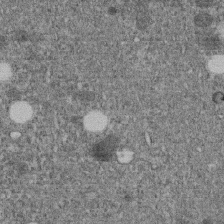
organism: C. elegans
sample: C. elegans embryo early stage